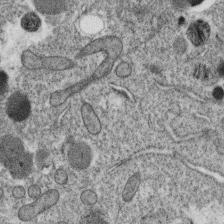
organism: C. elegans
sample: C. elegans oocyte; sperm cells